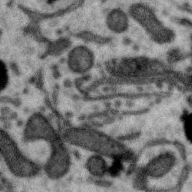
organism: Zebra finch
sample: Brain